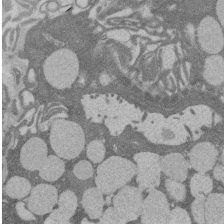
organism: Rat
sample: Salivary granule